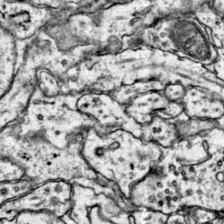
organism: Mouse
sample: Primary visual cortex